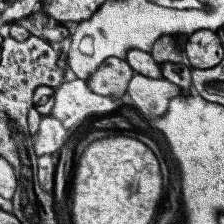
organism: Human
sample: Temporal Lobe